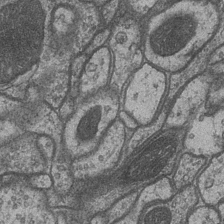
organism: Drosophila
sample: Optic medulla